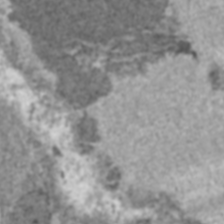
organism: C57BL Mouse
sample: Heart